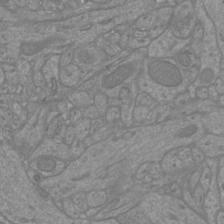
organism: Mouse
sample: Cortical neurons